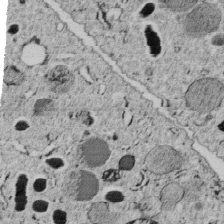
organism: C. elegans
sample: C. elegans embryo early stage